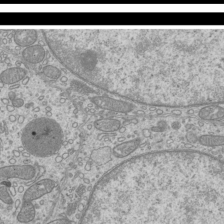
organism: Mouse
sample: Cilia; mouse epididymis